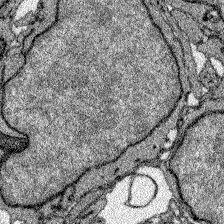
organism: Zebrafish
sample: Larval olfactory bulb